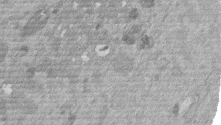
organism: Mouse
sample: Dividing mouse embryo 1 cell stage